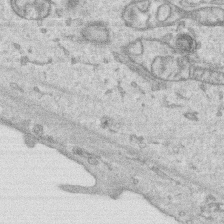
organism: Human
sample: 1205lu cells